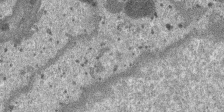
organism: Human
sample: Lung epithelial cells infected with SARS-CoV-2